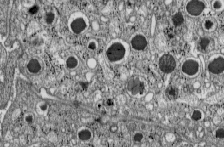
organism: C57BL Mouse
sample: Pancreatic islet